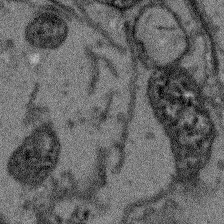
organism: Arabidopsis thaliana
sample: Root tip